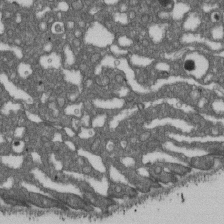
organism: Drosophila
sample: Nephrocyte